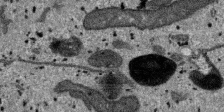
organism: Human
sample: Lung epithelial cells, uninfected (mock) control